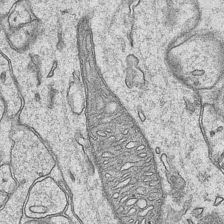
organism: Mouse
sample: CA1 Hippocampus